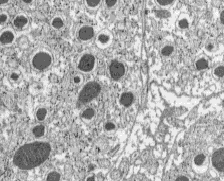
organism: C57BL Mouse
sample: Pancreatic islet